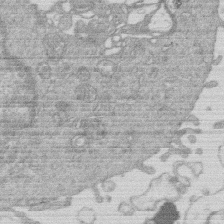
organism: Human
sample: Macrophage cells